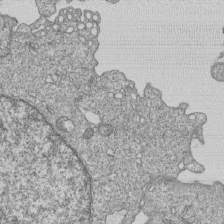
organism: Human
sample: MDA-MB-231 cells